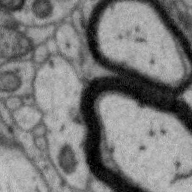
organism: Zebra finch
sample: Brain